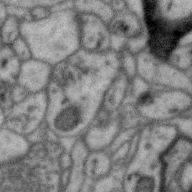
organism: Zebra finch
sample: Brain